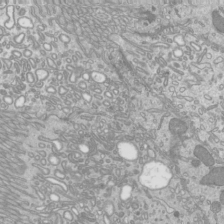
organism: Mouse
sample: Cilia; mouse epididymis